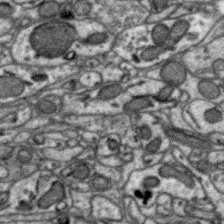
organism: Zebra finch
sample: Brain